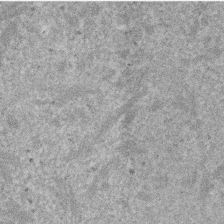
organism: Mouse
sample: Dividing mouse embryo 1 cell stage